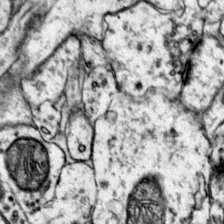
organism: Mouse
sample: Primary visual cortex